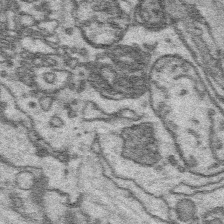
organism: Platynereis dumerilii